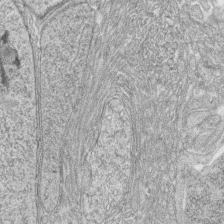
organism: Zebrafish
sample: synaptic ribbons in rod cells and cone cells